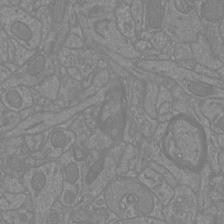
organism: Mouse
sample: Cortical neurons